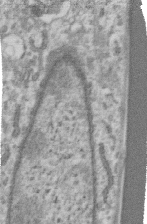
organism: Human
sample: Centriole in RPE cells